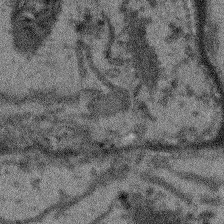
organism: Arabidopsis thaliana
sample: Root tip